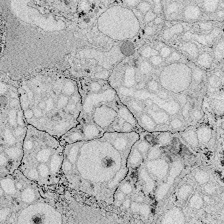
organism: Zebrafish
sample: Whole-Brain